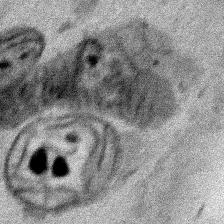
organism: Human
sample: Mitochondria in HCT116 cells